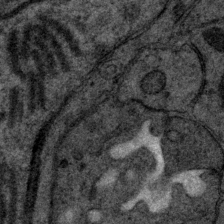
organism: P. pacificus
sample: Pharynx